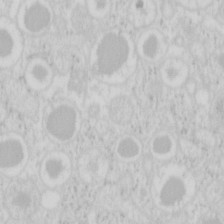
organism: Mouse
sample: Pancreas